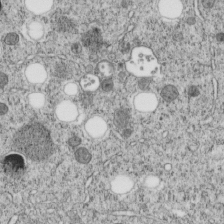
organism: C. elegans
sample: C. elegans embryo early stage